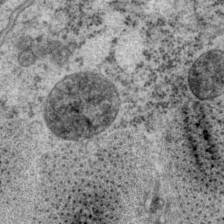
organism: P. pacificus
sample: Pharynx